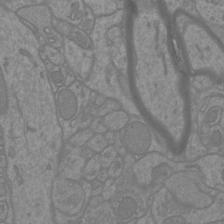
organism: Mouse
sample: Cortical neurons